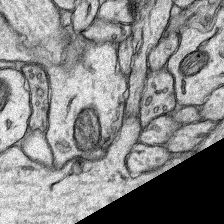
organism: Rat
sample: Hippocampus